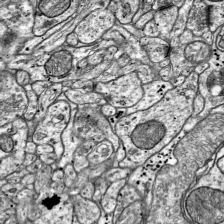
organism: Mouse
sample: Visual Cortex